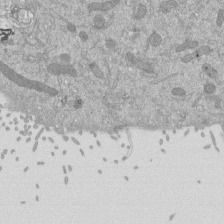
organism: Mouse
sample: ED-1 cell nuclei; centrioles